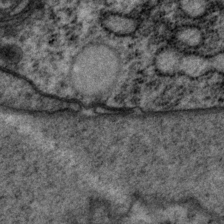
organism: P. pacificus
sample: Pharynx